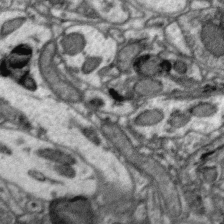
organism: Zebra finch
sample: Brain